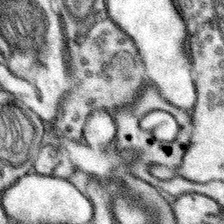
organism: Mouse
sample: Somatosensory cortex neuropil